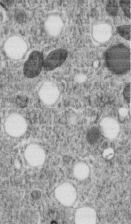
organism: C. elegans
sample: C. elegans embryo early stage